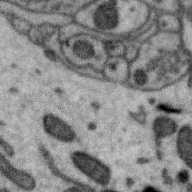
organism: Zebra finch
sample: Brain